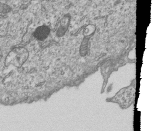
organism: Human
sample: MDA-MB-231 cells